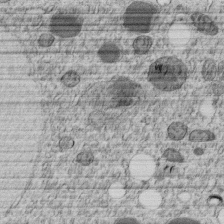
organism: C. elegans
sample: C. elegans embryo early stage